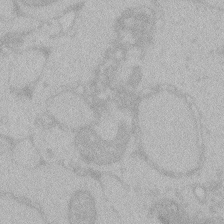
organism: Zebrafish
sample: Macrophage infected with Toxoplasma gondii